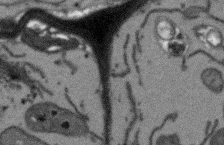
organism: Arabidopsis thaliana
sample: Root tip